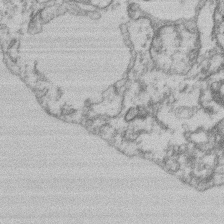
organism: Mouse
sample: T cell stromal cell synapse